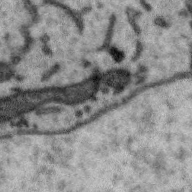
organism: Zebra finch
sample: Brain